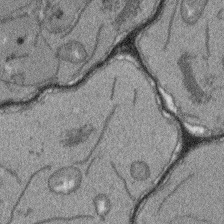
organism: Arabidopsis thaliana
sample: Root tip